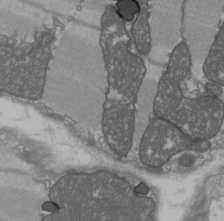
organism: C57BL Mouse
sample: Heart